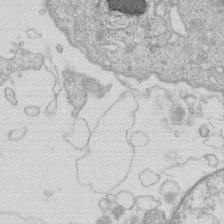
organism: Human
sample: Macrophage cells